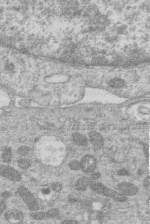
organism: Human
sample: Macrophage cells